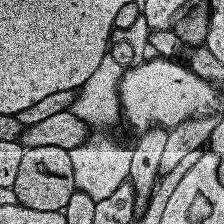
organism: Human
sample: Temporal Lobe